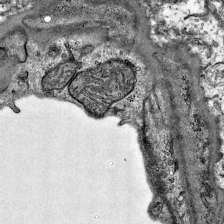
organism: Mouse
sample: Visual Cortex